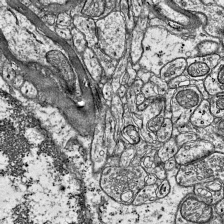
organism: Mouse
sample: Visual Cortex